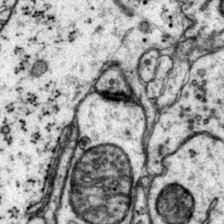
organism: Mouse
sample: Primary visual cortex